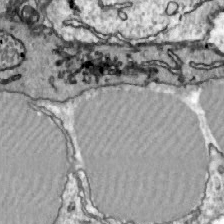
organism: Zebrafish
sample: Actinotrichia fibers